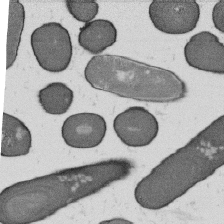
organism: B. subtilis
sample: Bacterial spore